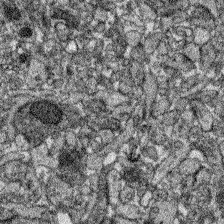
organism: Zebrafish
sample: Larval olfactory bulb